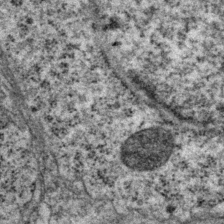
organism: P. pacificus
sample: Pharynx